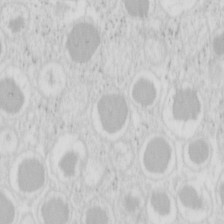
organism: Mouse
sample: Pancreas